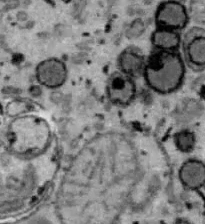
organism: Mouse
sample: Liver from an obese (ob/ob) mouse